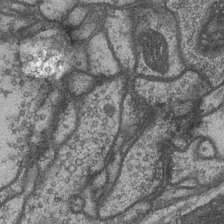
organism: Drosophila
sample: Optic medulla